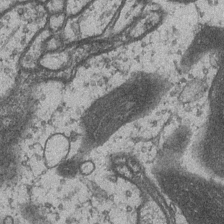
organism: Drosophila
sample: Optic medulla